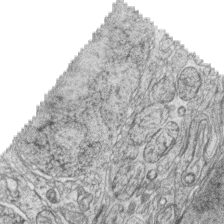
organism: Zebrafish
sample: synaptic ribbons in rod cells and cone cells